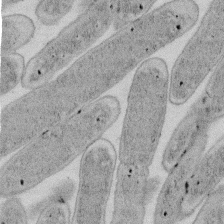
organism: E. coli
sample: Bacterial nucleoid